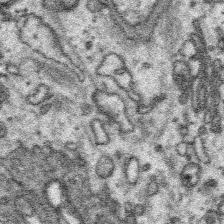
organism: Platynereis dumerilii